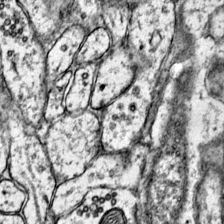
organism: Mouse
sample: Primary visual cortex